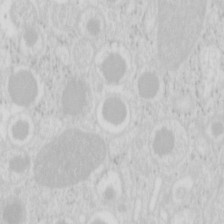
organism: Mouse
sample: Pancreas